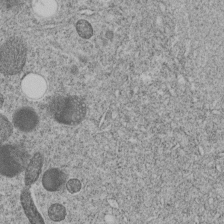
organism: C. elegans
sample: C. elegans embryo early stage